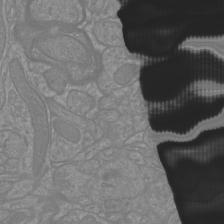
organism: Mouse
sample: Cortical neurons